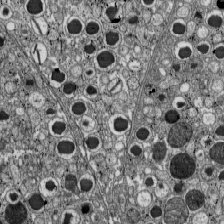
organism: C57BL Mouse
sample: Pancreatic islet